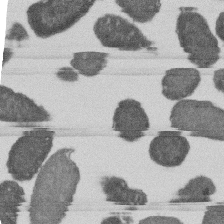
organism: E. coli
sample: Bacterial nucleoid